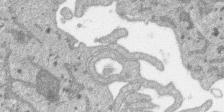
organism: Human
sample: Lung epithelial cells infected with SARS-CoV-2